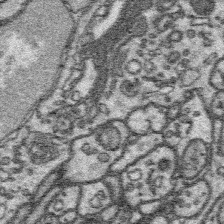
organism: Platynereis dumerilii